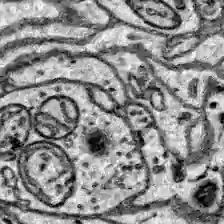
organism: Zebrafish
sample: Brain